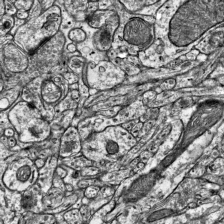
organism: Mouse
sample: Visual Cortex